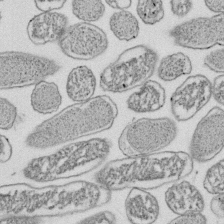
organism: E. coli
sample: Bacterial nucleoid